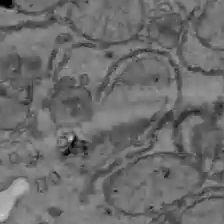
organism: C57BL Mouse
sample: Liver